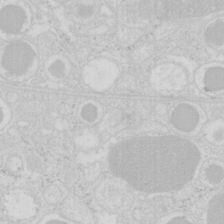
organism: Mouse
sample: Pancreas